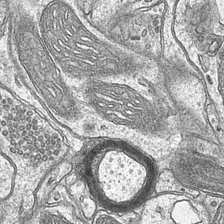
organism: Mouse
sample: CA1 Hippocampus